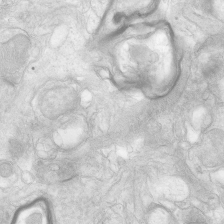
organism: Human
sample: Neocortex